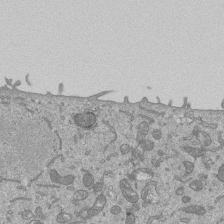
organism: Mouse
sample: ED-1 cell nuclei; centrioles